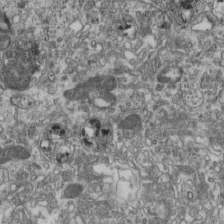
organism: Mouse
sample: Centriole in ependymal cells